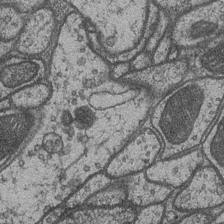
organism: Drosophila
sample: Optic medulla